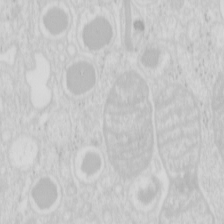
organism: Mouse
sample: Pancreas